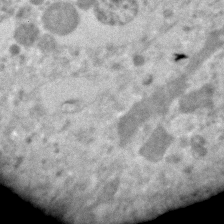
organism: Human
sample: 1205lu cells